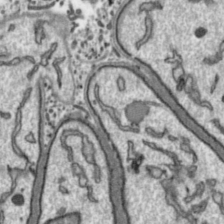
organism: Toxoplasma gondii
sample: Parasites in a vacuole inside a host cell